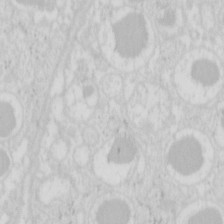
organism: Mouse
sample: Pancreas